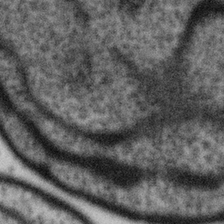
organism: Gemmata obscuriglobus